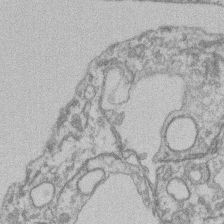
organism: Mouse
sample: T cell stromal cell synapse